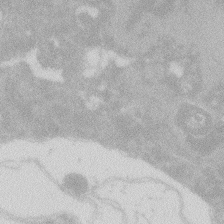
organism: Zebrafish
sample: Macrophage